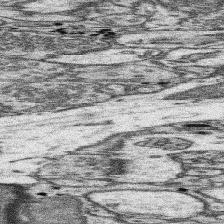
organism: Mouse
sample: Somatosensory cortex neuropil